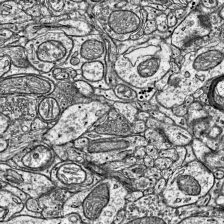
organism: Mouse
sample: Visual Cortex